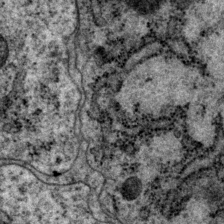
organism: P. pacificus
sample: Pharynx